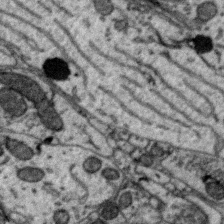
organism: Zebra finch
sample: Brain